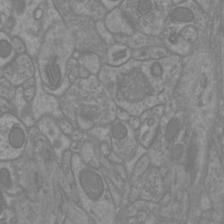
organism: Mouse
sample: Cortical neurons